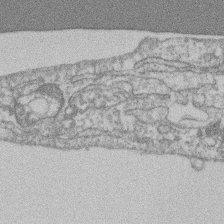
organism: Mouse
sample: T cell stromal cell synapse